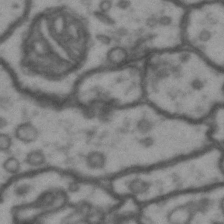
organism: Drosophila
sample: Brain